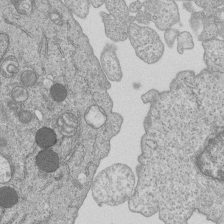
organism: Human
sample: MDA-MB-231 cells